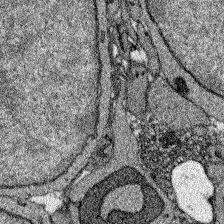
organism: Zebrafish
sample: Larval olfactory bulb